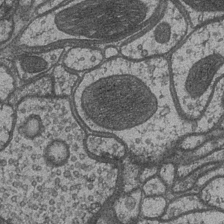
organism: Drosophila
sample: Optic medulla